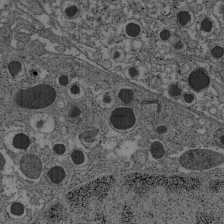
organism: C57BL Mouse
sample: Pancreatic islet